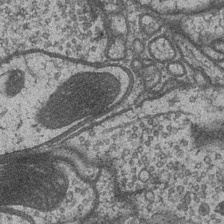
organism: Drosophila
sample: Optic medulla